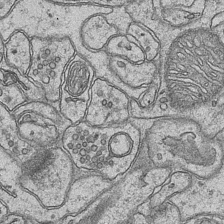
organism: Mouse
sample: CA1 Hippocampus